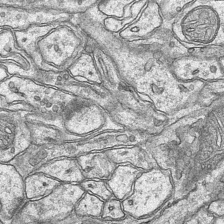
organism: Mouse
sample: CA1 Hippocampus